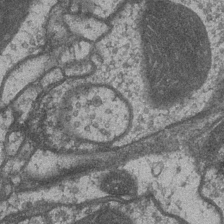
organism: Drosophila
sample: Optic medulla